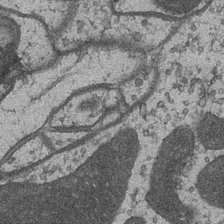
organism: Drosophila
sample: Optic medulla